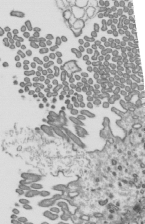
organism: Mouse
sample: Mouse epididymis efferent ductule cilia